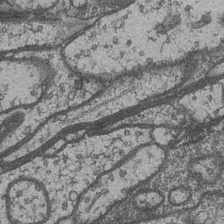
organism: Drosophila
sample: Optic medulla